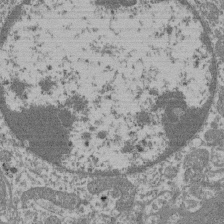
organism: Mouse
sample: Glomerulus